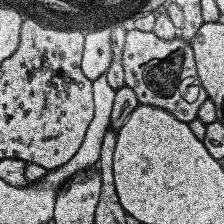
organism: Human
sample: Temporal Lobe